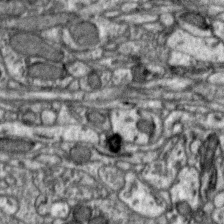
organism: Zebra finch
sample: Brain